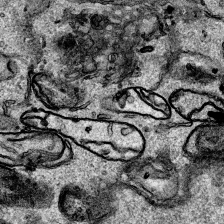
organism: Human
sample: Mitochondria in HCT116 cells